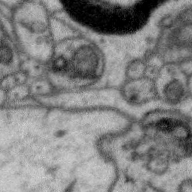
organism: Zebra finch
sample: Brain